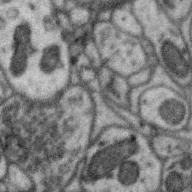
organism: Zebra finch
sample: Brain